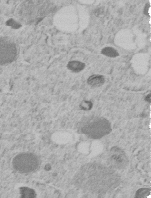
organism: C. elegans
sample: C. elegans embryo early stage